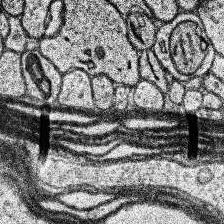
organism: Human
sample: Temporal Lobe